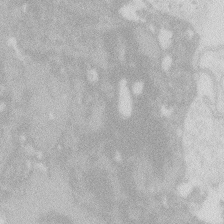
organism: Zebrafish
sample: Macrophage